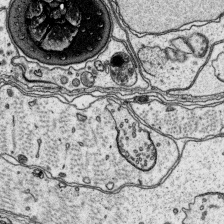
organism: Platynereis dumerilii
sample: Parapodia